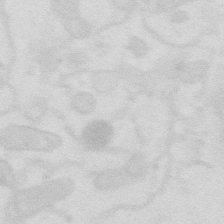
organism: Human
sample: HeLa cells